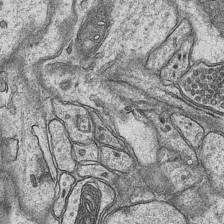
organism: Mouse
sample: CA1 Hippocampus